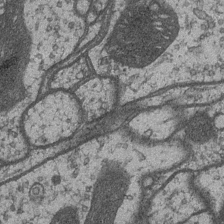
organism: Drosophila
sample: Optic medulla